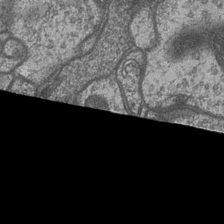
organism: Drosophila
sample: Optic medulla